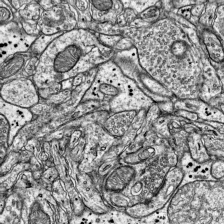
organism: Mouse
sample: Visual Cortex